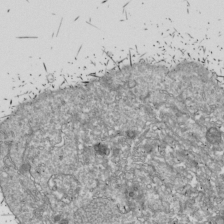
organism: Drosophila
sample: Cell division; meiosis; drosophila spermatocytes